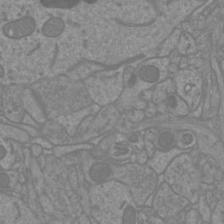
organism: Mouse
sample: Cortical neurons